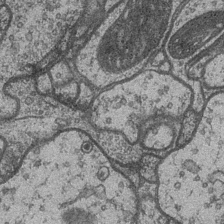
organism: Drosophila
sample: Optic medulla